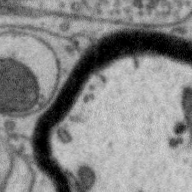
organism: Zebra finch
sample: Brain